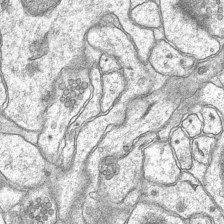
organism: Mouse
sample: CA1 Hippocampus